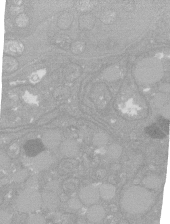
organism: C. elegans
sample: C. elegans oocyte; sperm cells